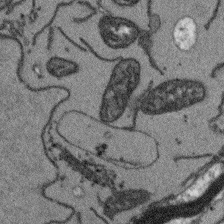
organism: Arabidopsis thaliana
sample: Root tip